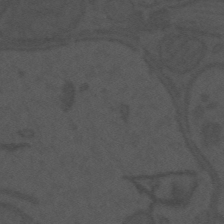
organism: Mouse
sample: Suprachiasmatic nucleus